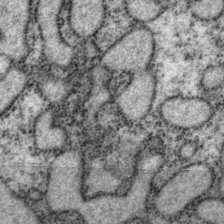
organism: P. pacificus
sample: Pharynx